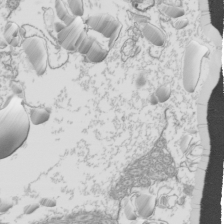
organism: Mouse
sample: Cilia; mouse epididymis